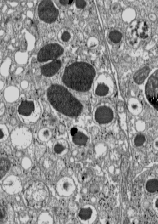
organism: C57BL Mouse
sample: Pancreatic islet